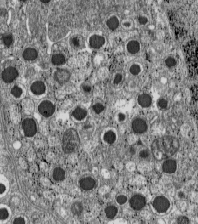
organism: C57BL Mouse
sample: Pancreatic islet